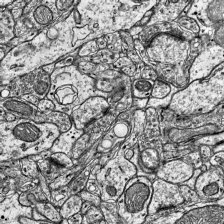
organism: Mouse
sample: Visual Cortex